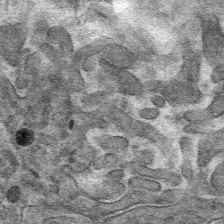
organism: Mouse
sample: Mouse hepatocytes